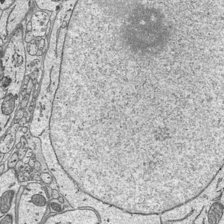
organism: Mouse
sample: Suprachiasmatic nucleus